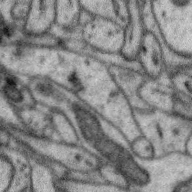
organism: Zebra finch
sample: Brain